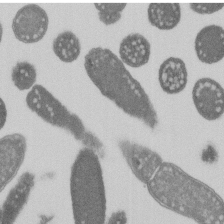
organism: E. coli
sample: Bacterial nucleoid